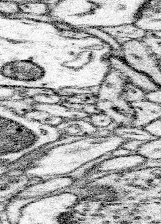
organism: Mouse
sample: Somatosensory cortex neuropil